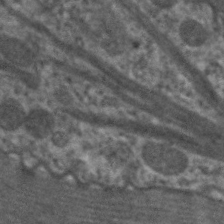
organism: C. elegans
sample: Pharynx